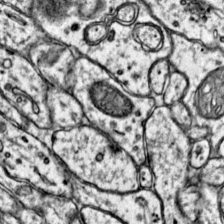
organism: Mouse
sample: Primary visual cortex